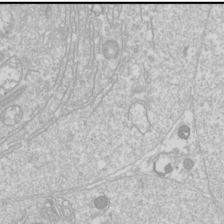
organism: Drosophila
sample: Cell division; meiosis; drosophila spermatocytes